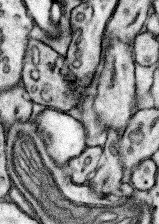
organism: Mouse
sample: Somatosensory cortex neuropil